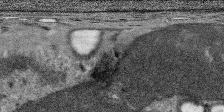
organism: Human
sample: Lung epithelial cells infected with SARS-CoV-2